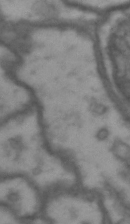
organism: Drosophila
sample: Brain